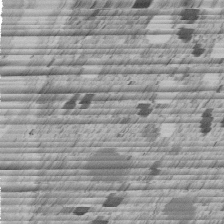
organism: C. elegans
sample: C. elegans embryo early stage